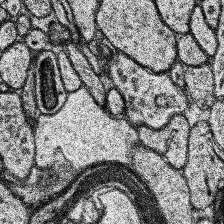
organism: Human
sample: Temporal Lobe